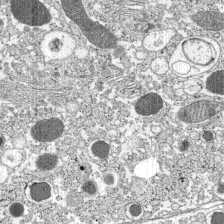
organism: C57BL Mouse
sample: Pancreatic islet